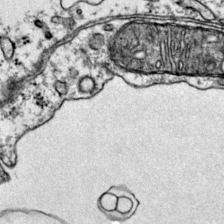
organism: Mouse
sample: Primary visual cortex